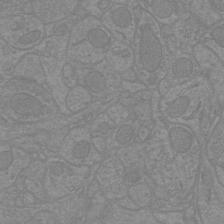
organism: Mouse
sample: Cortical neurons